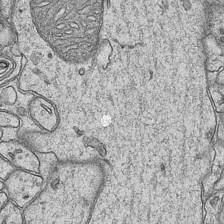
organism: Mouse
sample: CA1 Hippocampus